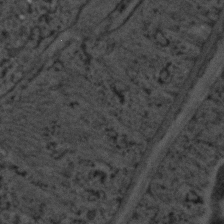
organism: C. elegans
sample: C. elegans embryo